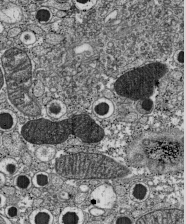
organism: C57BL Mouse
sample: Pancreatic islet